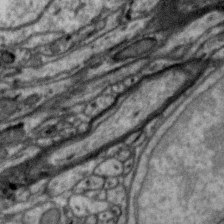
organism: Zebra finch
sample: Brain